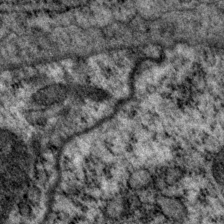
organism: P. pacificus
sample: Pharynx